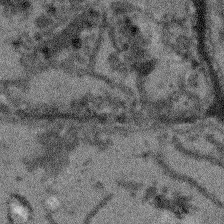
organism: Arabidopsis thaliana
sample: Root tip